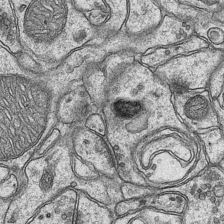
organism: Mouse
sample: CA1 Hippocampus